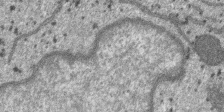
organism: Human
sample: Lung epithelial cells infected with SARS-CoV-2